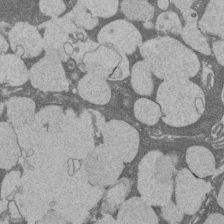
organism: Rat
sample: Salivary granule